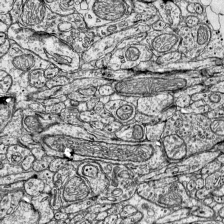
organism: Mouse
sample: Visual Cortex